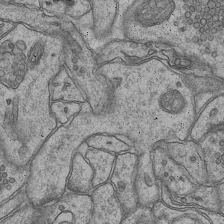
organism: Mouse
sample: CA1 Hippocampus